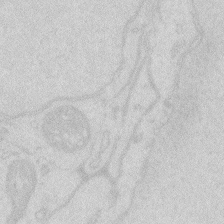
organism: Zebrafish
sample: Macrophage